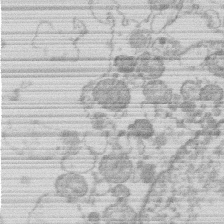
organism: Human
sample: Macrophage cells